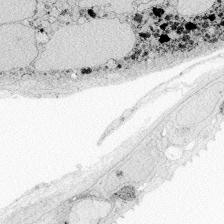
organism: Zebrafish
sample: Whole-Brain